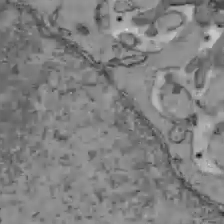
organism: C57BL Mouse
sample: Liver